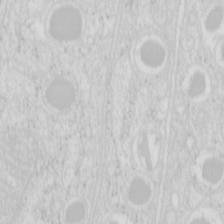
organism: Mouse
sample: Pancreas